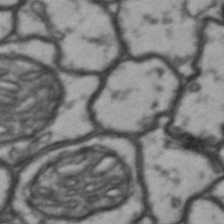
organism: Drosophila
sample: Brain